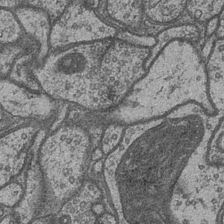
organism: Drosophila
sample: Optic medulla